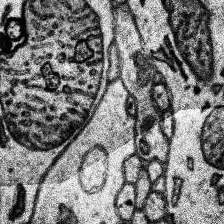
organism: Human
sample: Temporal Lobe